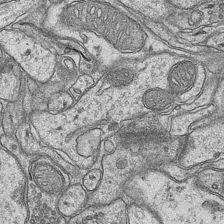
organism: Mouse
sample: CA1 Hippocampus